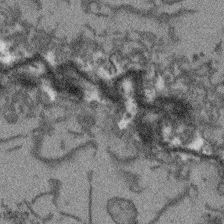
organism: Arabidopsis thaliana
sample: Root tip